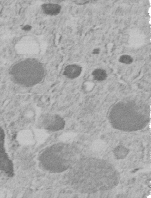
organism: C. elegans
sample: C. elegans embryo early stage